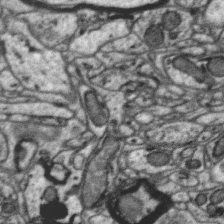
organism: Zebra finch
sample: Brain